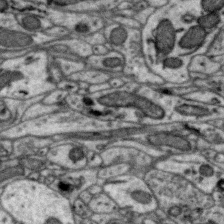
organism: Zebra finch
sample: Brain